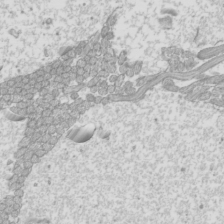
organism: Mouse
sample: Cilia; mouse epididymis